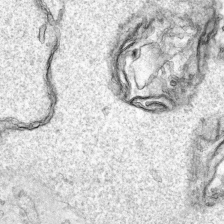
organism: Human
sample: Mitochondria in HCT116 cells